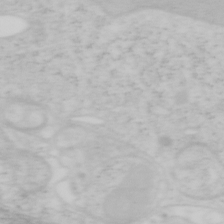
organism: Mouse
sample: OT-I killer T cells with ID8 ovarian cancer cells